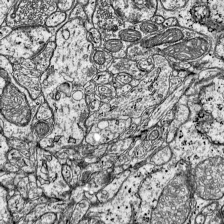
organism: Mouse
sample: Visual Cortex